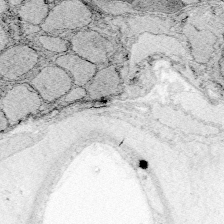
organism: Zebrafish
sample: Whole-Brain